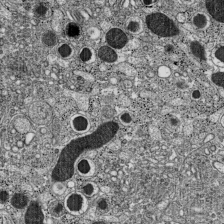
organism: C57BL Mouse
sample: Pancreatic islet